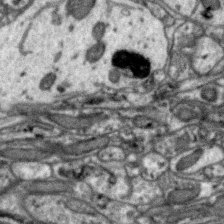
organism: Zebra finch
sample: Brain